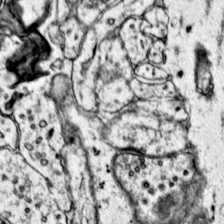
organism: Mouse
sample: Primary visual cortex